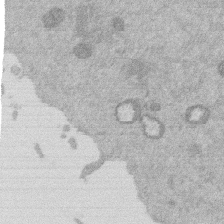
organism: Mouse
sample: Dividing mouse embryo 1 cell stage